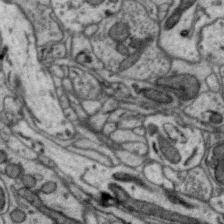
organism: Zebra finch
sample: Brain